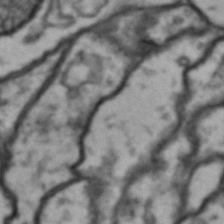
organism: Drosophila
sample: Brain